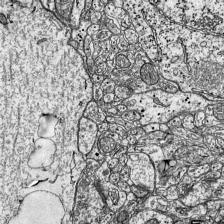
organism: Mouse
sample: Visual Cortex